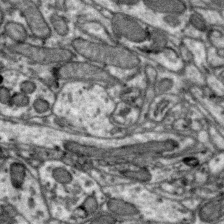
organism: Zebra finch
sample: Brain